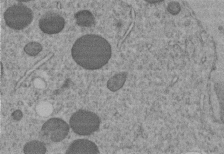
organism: C. elegans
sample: C. elegans embryo early stage